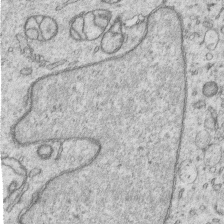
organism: Human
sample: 1205lu cells